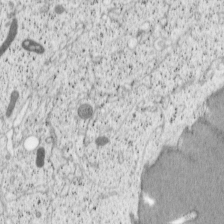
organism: African green monkey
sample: COS-7 cells